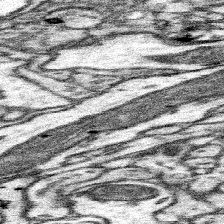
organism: Mouse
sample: Somatosensory cortex neuropil